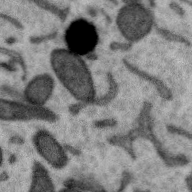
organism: Zebra finch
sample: Brain